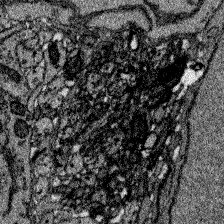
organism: Zebrafish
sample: Larval olfactory bulb